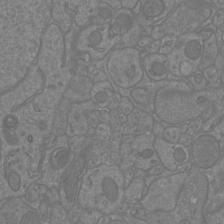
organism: Mouse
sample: Cortical neurons